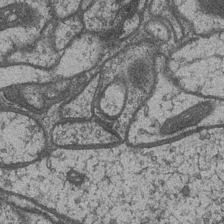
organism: Drosophila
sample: Optic medulla